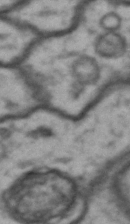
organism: Drosophila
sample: Brain